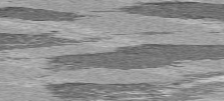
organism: C57BL Mouse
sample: Heart